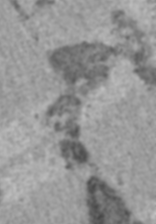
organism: C57BL Mouse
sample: Heart